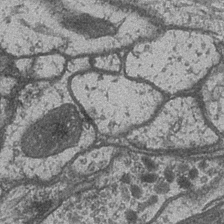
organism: Drosophila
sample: Optic medulla